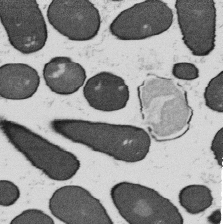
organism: B. subtilis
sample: Bacterial spore